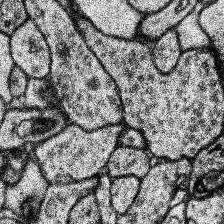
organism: Human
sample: Temporal Lobe